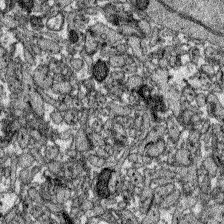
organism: Zebrafish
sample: Larval olfactory bulb